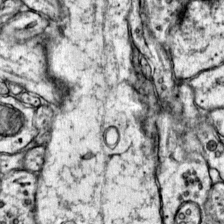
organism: Mouse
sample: Primary visual cortex